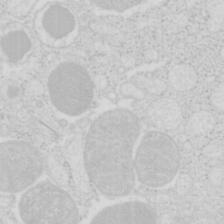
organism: Mouse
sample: Pancreas